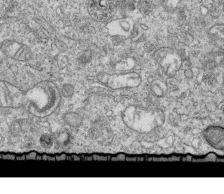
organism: Human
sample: HeLa cell HIV synapse